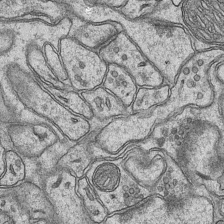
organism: Mouse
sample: CA1 Hippocampus